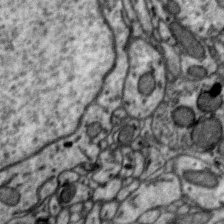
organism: Zebra finch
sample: Brain